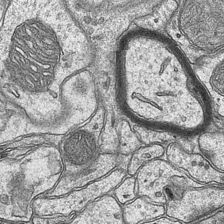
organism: Mouse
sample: CA1 Hippocampus